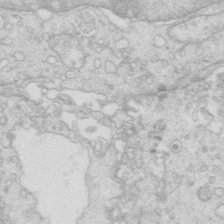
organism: Mouse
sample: Multiciliated cells